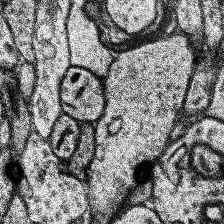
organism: Human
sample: Temporal Lobe